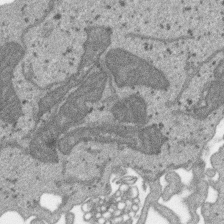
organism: Human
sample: Lung epithelial cells infected with SARS-CoV-2